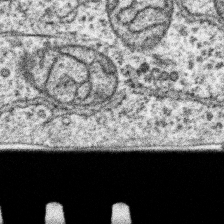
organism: Human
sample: HeLa cells